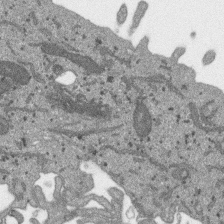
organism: Human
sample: Lung epithelial cells infected with SARS-CoV-2